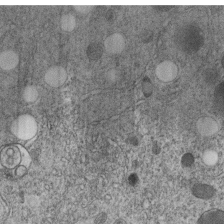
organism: C. elegans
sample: C. elegans embryo early stage